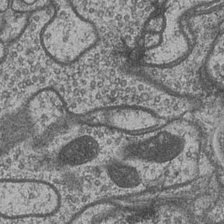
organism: Drosophila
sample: Optic medulla